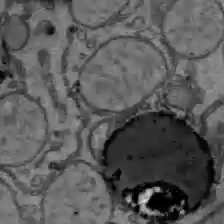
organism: C57BL Mouse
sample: Liver